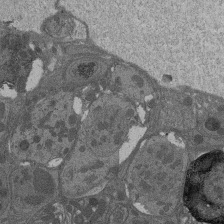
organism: Drosophila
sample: Antenna